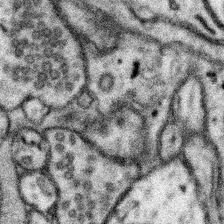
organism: Mouse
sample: Somatosensory cortex neuropil